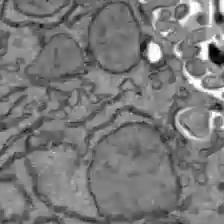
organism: C57BL Mouse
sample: Liver